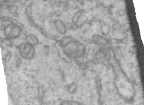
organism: Human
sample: Centriole in RPE cells